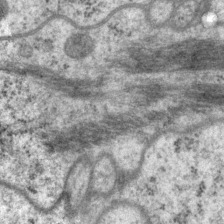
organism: P. pacificus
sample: Pharynx